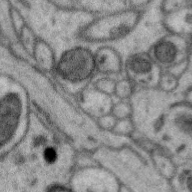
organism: Zebra finch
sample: Brain